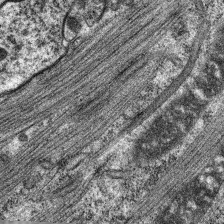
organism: C. elegans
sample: Pharynx